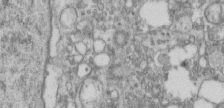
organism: Human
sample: Centriole in RPE cells